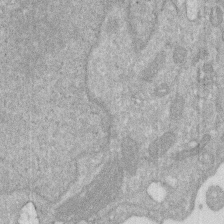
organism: Human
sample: HIV infected U937 cells